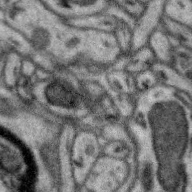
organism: Zebra finch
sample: Brain